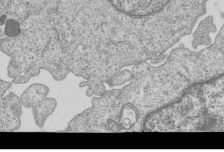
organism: Human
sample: MDA-MB-231 cells